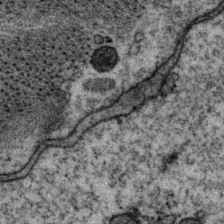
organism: P. pacificus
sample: Pharynx